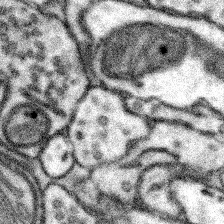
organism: Mouse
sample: Somatosensory cortex neuropil